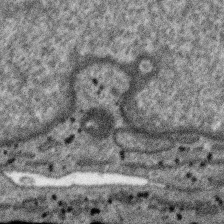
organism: Human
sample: Lung epithelial cells infected with SARS-CoV-2